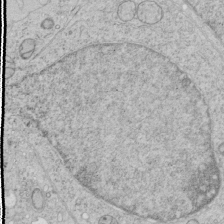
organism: Human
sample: Mitochondria in HCT116 cells